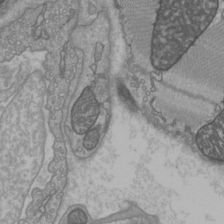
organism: C57BL Mouse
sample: Heart